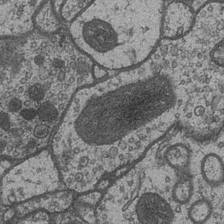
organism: Drosophila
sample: Optic medulla